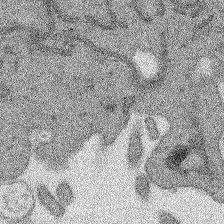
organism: Human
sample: HeLa cells